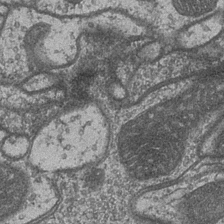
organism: Drosophila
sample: Optic medulla